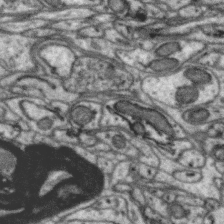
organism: Zebra finch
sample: Brain